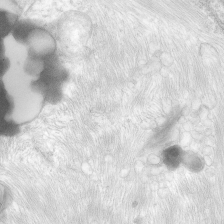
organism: Human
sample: Neocortex